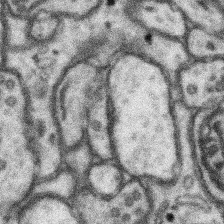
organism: Mouse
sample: Somatosensory cortex neuropil